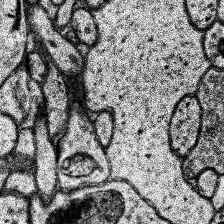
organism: Human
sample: Temporal Lobe